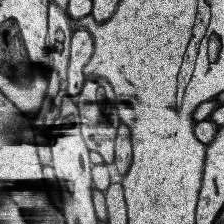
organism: Human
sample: Temporal Lobe